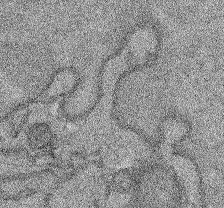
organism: Human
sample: HeLa cells